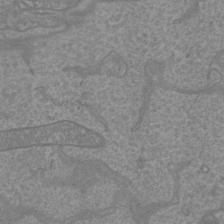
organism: Mouse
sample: Cortical neurons